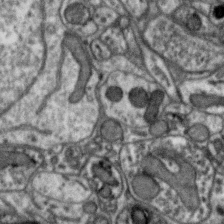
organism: Zebra finch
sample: Brain